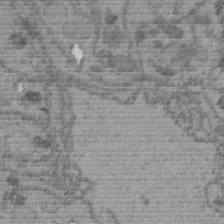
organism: C. elegans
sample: C. elegans embryo early stage